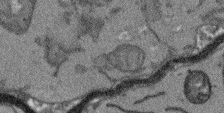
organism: Arabidopsis thaliana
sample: Root tip